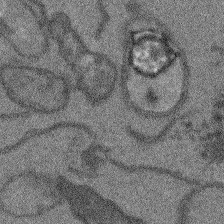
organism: Arabidopsis thaliana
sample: Root tip